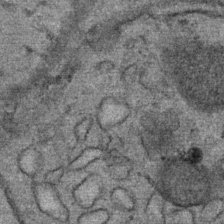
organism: Mouse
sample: Mouse Salivary gland